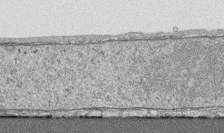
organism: Human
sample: CRL-1474